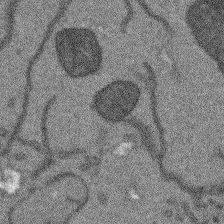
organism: Arabidopsis thaliana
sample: Root tip